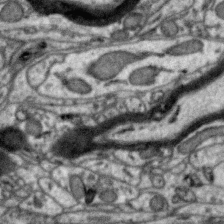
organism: Zebra finch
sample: Brain